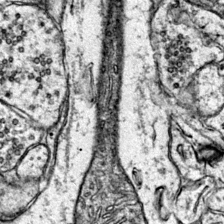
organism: Mouse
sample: Primary visual cortex